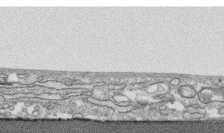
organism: Human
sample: CRL-1474